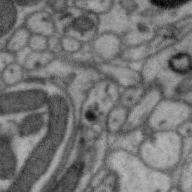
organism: Zebra finch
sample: Brain